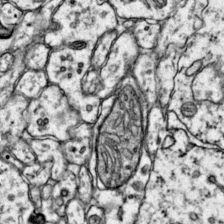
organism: Mouse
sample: Primary visual cortex